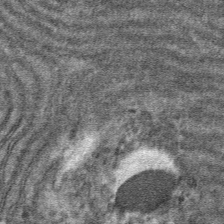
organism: Mouse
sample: Mouse hepatocytes